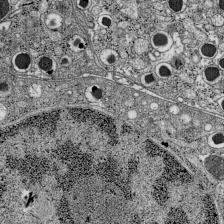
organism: C57BL Mouse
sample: Pancreatic islet